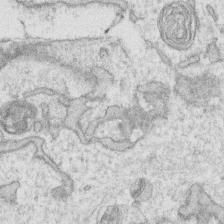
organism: Human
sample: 1205lu cells